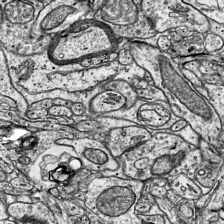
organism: Mouse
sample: Visual Cortex